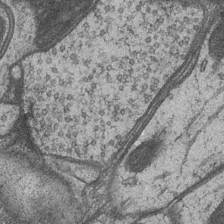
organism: Drosophila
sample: Optic medulla